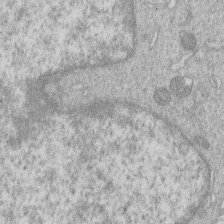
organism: Human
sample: Macrophage cells